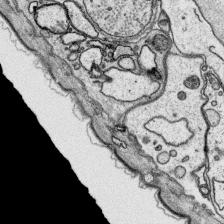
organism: Platynereis dumerilii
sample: Parapodia